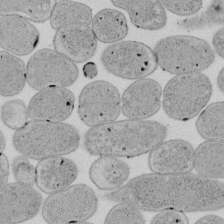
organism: E. coli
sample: Bacterial nucleoid